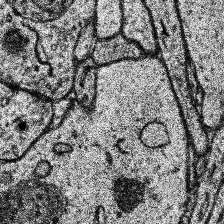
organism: Human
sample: Temporal Lobe